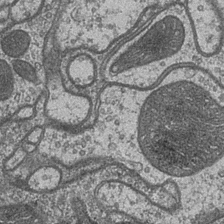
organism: Drosophila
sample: Optic medulla